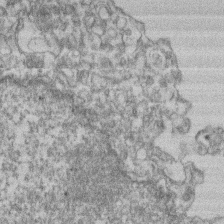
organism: Mouse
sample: T cell stromal cell synapse